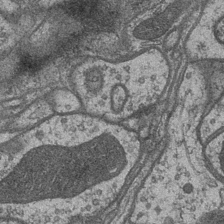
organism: Drosophila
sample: Optic medulla